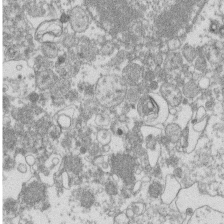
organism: Human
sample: HeLa cell HIV synapse